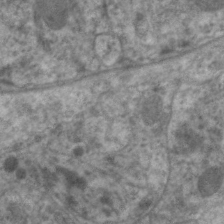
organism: C. elegans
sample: Pharynx